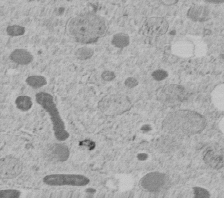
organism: C. elegans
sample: C. elegans embryo early stage